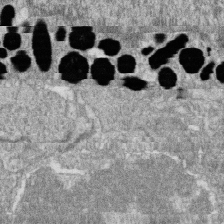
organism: Zebrafish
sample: Cilia; retinal pigment epithelium